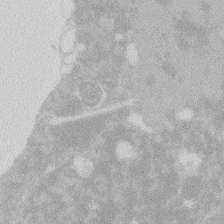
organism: Zebrafish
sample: Macrophage